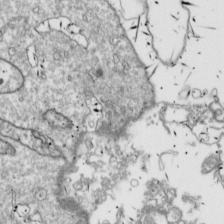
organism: Drosophila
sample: Cell division; meiosis; drosophila spermatocytes